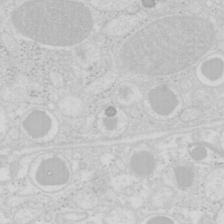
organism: Mouse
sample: Pancreas